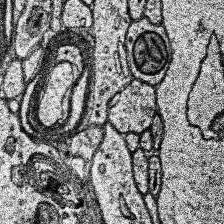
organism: Human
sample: Temporal Lobe